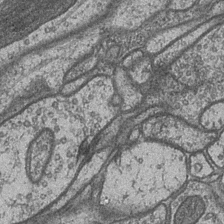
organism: Drosophila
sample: Optic medulla